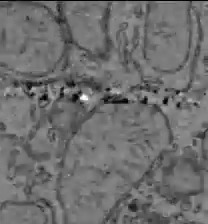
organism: C57BL Mouse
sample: Liver